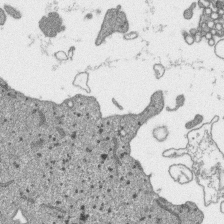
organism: Human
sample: Lung epithelial cells infected with SARS-CoV-2